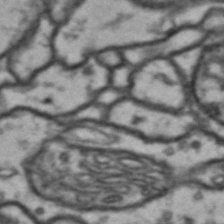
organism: Drosophila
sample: Brain